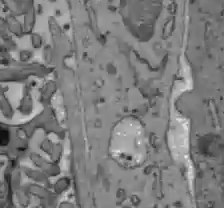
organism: C57BL Mouse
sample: Liver